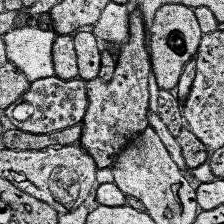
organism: Human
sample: Temporal Lobe